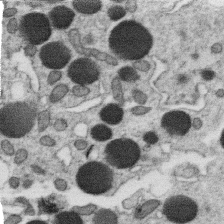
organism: C. elegans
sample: C. elegans oocyte; sperm cells